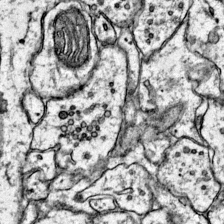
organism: Mouse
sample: Primary visual cortex